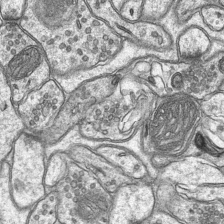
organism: Mouse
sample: CA1 Hippocampus